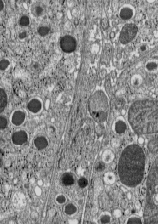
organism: C57BL Mouse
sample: Pancreatic islet